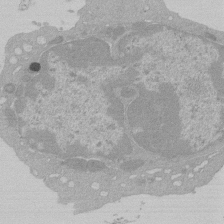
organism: Mouse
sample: Activated Pmel transgenic CD8+ T Cells